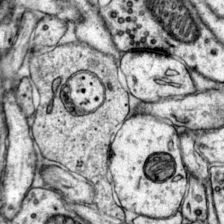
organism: Mouse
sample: Primary visual cortex